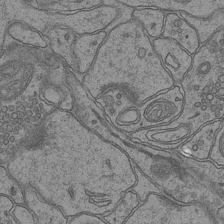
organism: Mouse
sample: CA1 Hippocampus